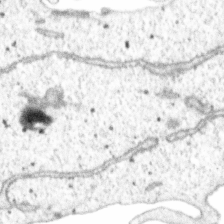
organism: Human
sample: HeLa cells